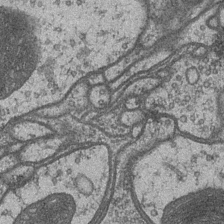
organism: Drosophila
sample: Optic medulla